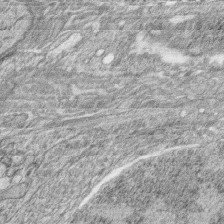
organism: Zebrafish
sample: synaptic ribbons in rod cells and cone cells